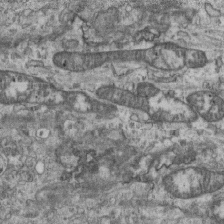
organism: Mouse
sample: Centriole in ependymal cells